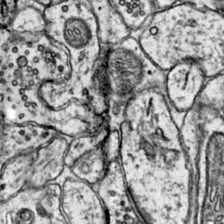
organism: Mouse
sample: Primary visual cortex